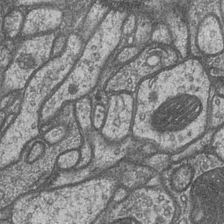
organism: Drosophila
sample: Optic medulla